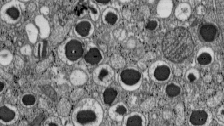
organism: C57BL Mouse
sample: Pancreatic islet